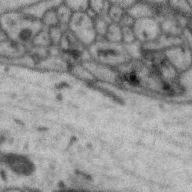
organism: Zebra finch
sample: Brain